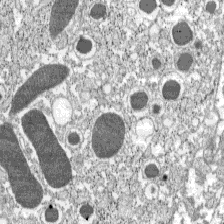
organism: C57BL Mouse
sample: Pancreatic islet